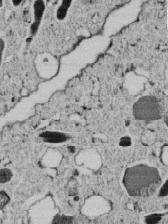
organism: C. elegans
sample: C. elegans embryo early stage